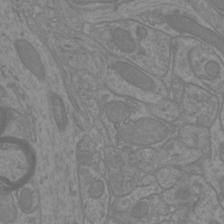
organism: Mouse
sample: Cortical neurons